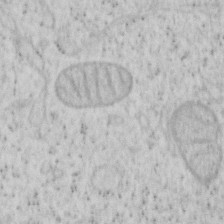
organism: Human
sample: HeLa cells